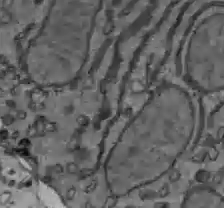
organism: C57BL Mouse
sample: Liver